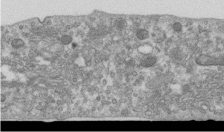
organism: Human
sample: Centriole in RPE cells